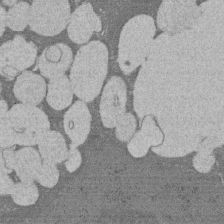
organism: Rat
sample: Salivary granule